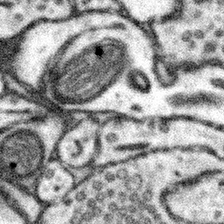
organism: Mouse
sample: Somatosensory cortex neuropil